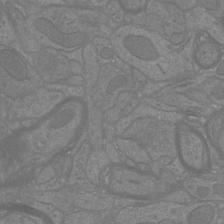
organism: Mouse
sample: Cortical neurons